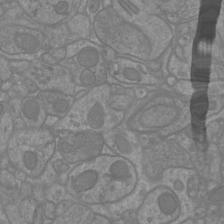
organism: Mouse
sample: Cortical neurons